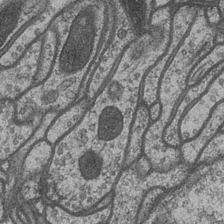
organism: Drosophila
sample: Optic medulla